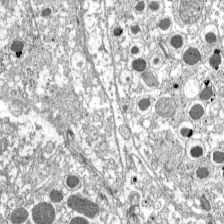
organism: C57BL Mouse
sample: Pancreatic islet